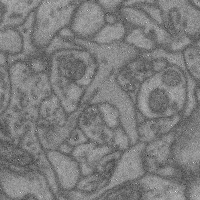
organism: Mouse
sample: Cerebral cortex